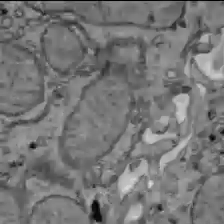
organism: C57BL Mouse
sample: Liver